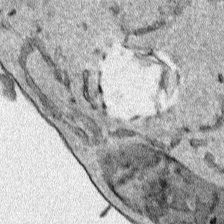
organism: Human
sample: Mitochondria in HCT116 cells